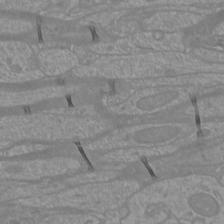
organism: Mouse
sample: Cortical neurons